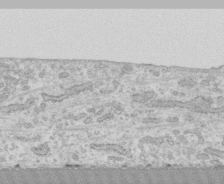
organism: Human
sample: CRL-1474